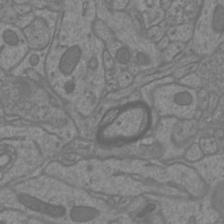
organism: Mouse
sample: Cortical neurons